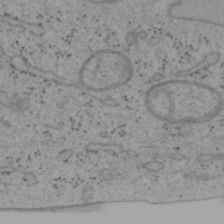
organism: Human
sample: HeLa cells